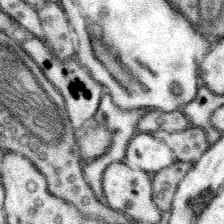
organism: Mouse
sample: Somatosensory cortex neuropil